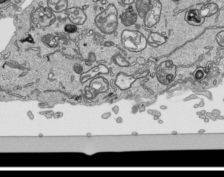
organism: Human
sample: Mitochondria in HCT116 cells